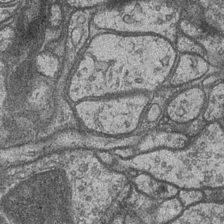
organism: Drosophila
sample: Optic medulla